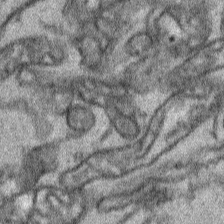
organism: Human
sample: Mitochondria in HCT116 cells